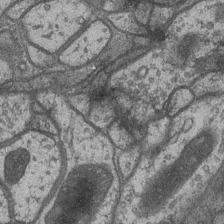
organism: Drosophila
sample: Optic medulla